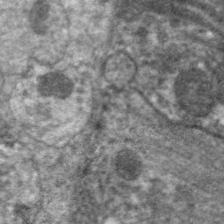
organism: C. elegans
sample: Pharynx